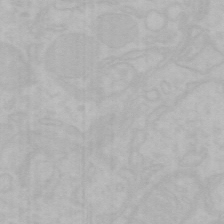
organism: Mouse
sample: Choroid plexus